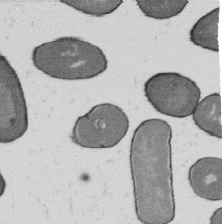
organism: B. subtilis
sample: Bacterial spore